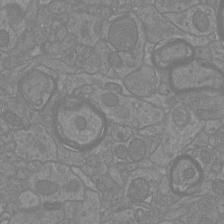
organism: Mouse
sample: Cortical neurons